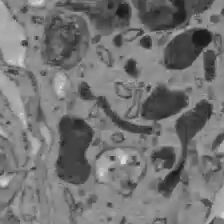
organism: C57BL Mouse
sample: Liver